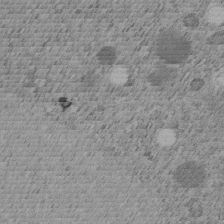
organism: C. elegans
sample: C. elegans embryo early stage